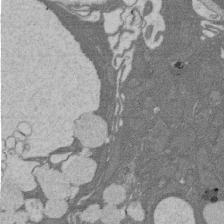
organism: Rat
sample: Salivary granule